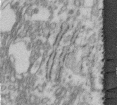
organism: Human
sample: Centriole in fibroblast cells